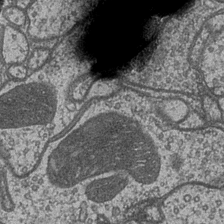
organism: Drosophila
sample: Optic medulla